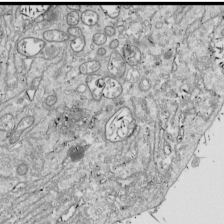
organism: Drosophila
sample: Cell division; meiosis; drosophila spermatocytes